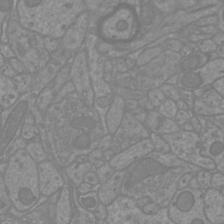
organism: Mouse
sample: Cortical neurons